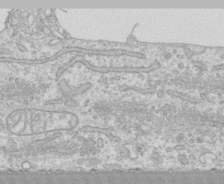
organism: Human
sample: CRL-1474